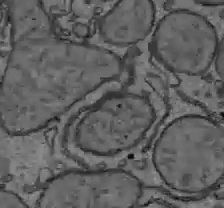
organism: C57BL Mouse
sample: Liver